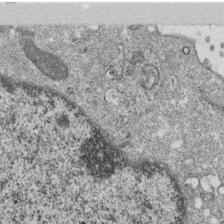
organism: African green monkey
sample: Vero E6 cells infected with SARS-CoV-2